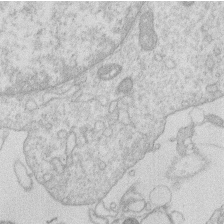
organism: Human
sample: Macrophage cells